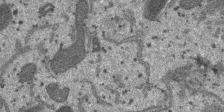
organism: Human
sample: Lung epithelial cells infected with SARS-CoV-2